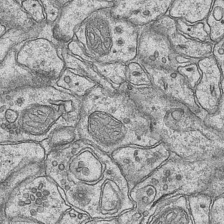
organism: Mouse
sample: CA1 Hippocampus